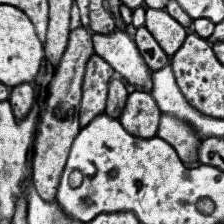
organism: Human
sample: Temporal Lobe